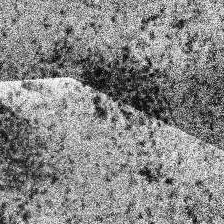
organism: Human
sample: Temporal Lobe